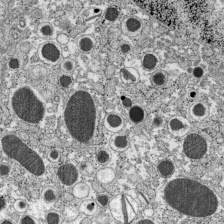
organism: C57BL Mouse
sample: Pancreatic islet